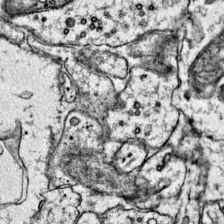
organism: Mouse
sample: Primary visual cortex